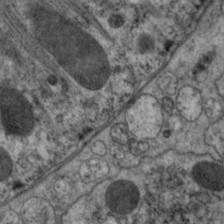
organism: C. elegans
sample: Pharynx